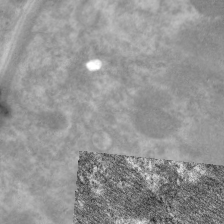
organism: C. elegans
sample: Pharynx